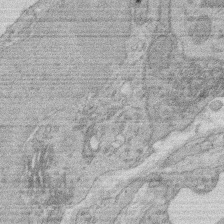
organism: Rat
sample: Salivary granule